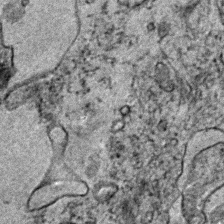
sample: Trachea